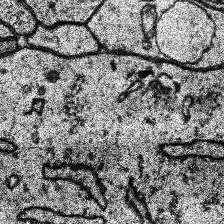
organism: Human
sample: Temporal Lobe